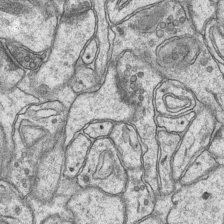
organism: Mouse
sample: CA1 Hippocampus